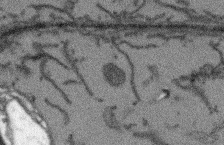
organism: Arabidopsis thaliana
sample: Root tip